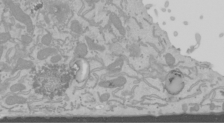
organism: Mouse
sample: Cancer cell death in ED-1 cells